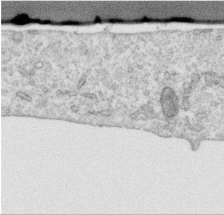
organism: Human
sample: Centriole in RPE cells